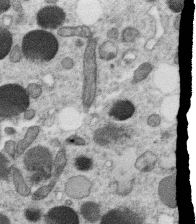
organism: C. elegans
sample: C. elegans oocyte; sperm cells